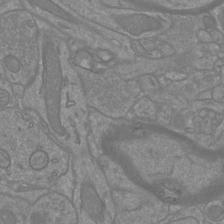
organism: Mouse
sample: Cortical neurons